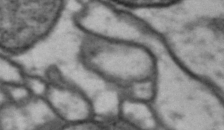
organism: Drosophila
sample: Brain